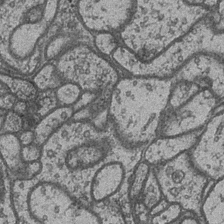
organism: Drosophila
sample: Optic medulla